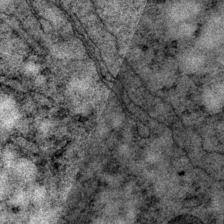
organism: P. pacificus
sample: Pharynx